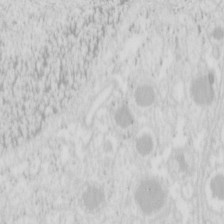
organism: Mouse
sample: Pancreas